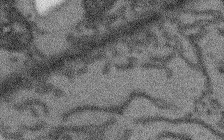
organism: Arabidopsis thaliana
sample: Root tip